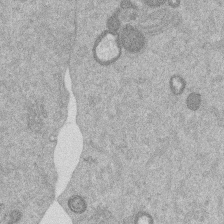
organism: Mouse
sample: Dividing mouse embryo 1 cell stage